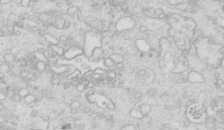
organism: Mouse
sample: Multiciliated cells